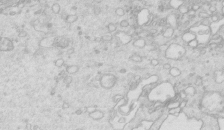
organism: Mouse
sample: Multiciliated cells